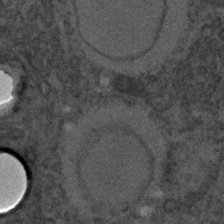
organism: C. elegans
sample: C. elegans embryo